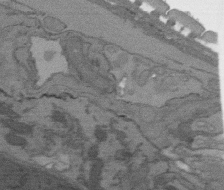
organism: C. elegans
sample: AFD neurons C. elegans